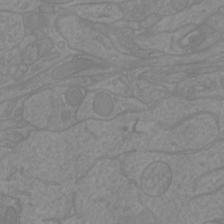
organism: Mouse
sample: Cortical neurons